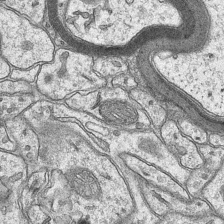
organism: Mouse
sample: CA1 Hippocampus